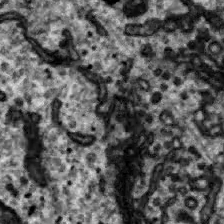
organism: Human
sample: HeLa cells